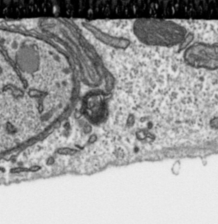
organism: Toxoplasma gondii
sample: Parasites in a vacuole inside a host cell